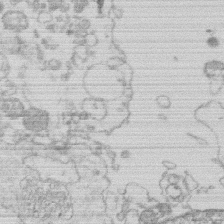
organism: Human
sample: Macrophage cells